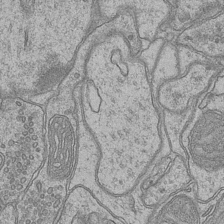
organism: Mouse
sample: CA1 Hippocampus